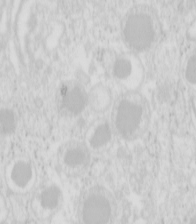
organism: Mouse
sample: Pancreas